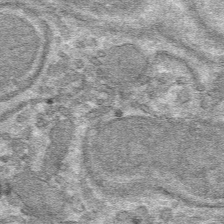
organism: Mouse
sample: Mouse hepatocytes